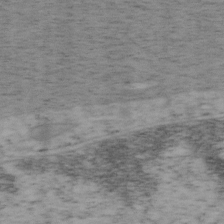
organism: Mouse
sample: OT-I killer T cells with ID8 ovarian cancer cells